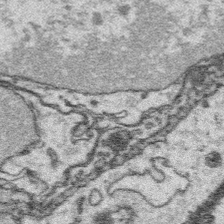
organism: Platynereis dumerilii